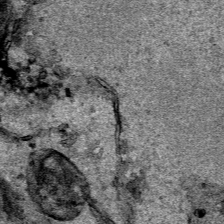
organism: Human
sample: Mitochondria in HCT116 cells